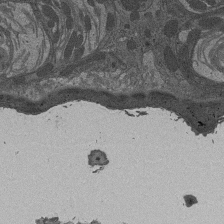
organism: Drosophila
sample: Antenna